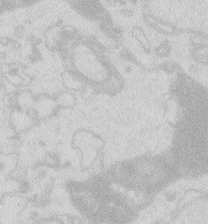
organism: Zebrafish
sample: Macrophage